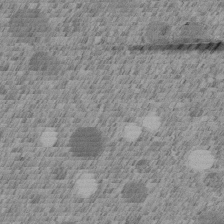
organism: C. elegans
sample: C. elegans embryo early stage